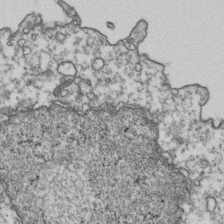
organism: Human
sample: Activated Jurkat CD4+ T cells